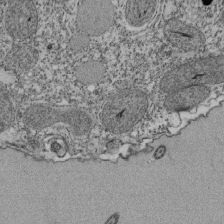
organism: Tetrahymena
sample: Cilia in tetrahymena